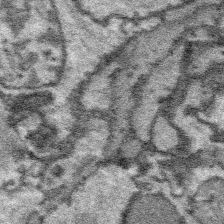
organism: Platynereis dumerilii